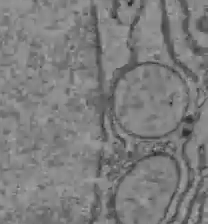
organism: C57BL Mouse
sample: Liver